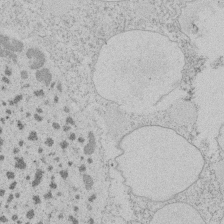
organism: Tetrahymena